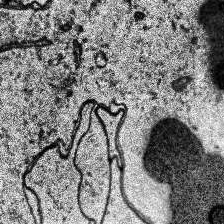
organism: Human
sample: Temporal Lobe